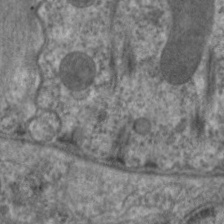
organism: C. elegans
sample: Pharynx